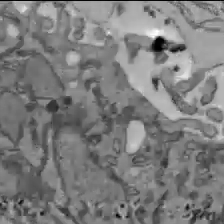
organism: C57BL Mouse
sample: Liver